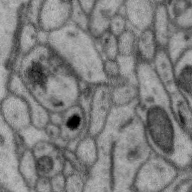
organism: Zebra finch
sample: Brain